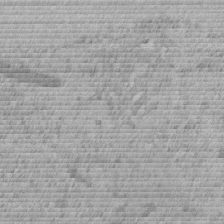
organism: C. elegans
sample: C. elegans embryo early stage